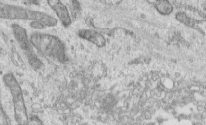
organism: Human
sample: Centriole in RPE cells